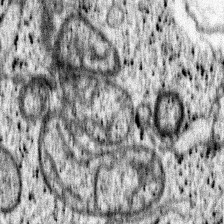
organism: Human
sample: HeLa cells